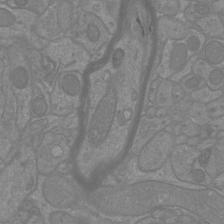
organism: Mouse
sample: Cortical neurons